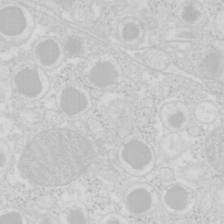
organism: Mouse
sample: Pancreas